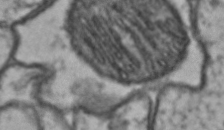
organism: Drosophila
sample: Brain